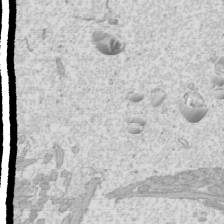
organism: Mouse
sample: Cilia; mouse epididymis